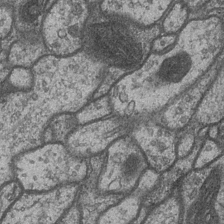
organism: Drosophila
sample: Optic medulla